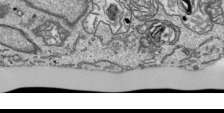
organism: Human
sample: Mitochondria in HCT116 cells